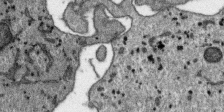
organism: Human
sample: Lung epithelial cells, uninfected (mock) control